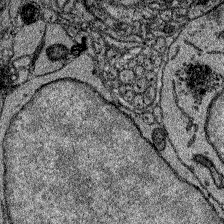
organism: Zebrafish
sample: Larval olfactory bulb